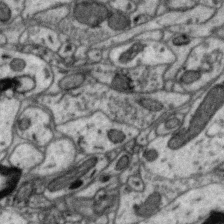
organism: Zebra finch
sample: Brain